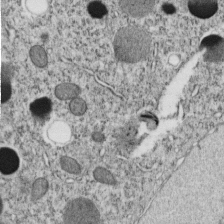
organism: C. elegans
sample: C. elegans embryo early stage